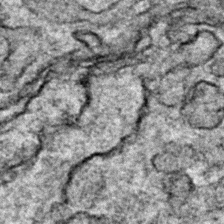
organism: Zebrafish